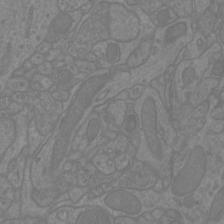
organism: Mouse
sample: Cortical neurons